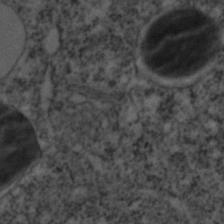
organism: C. elegans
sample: C. elegans embryo